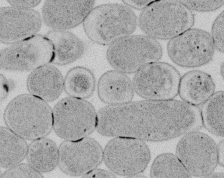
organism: E. coli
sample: Bacterial nucleoid